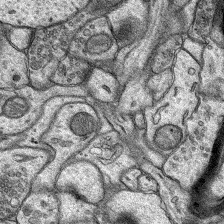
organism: Rat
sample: Hippocampus